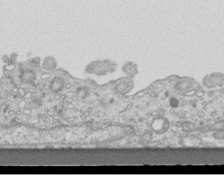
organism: Mouse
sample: Centriole in ependymal cells